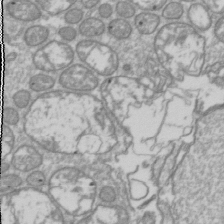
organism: Drosophila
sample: Cell division; meiosis; drosophila spermatocytes